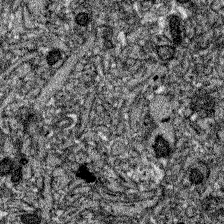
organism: Zebrafish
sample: Larval olfactory bulb